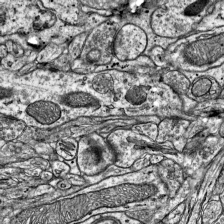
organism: Mouse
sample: Visual Cortex